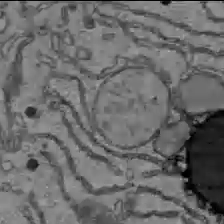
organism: C57BL Mouse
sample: Liver